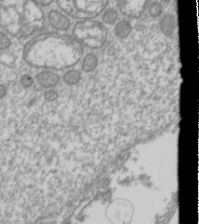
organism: Drosophila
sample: Cell division; meiosis; drosophila spermatocytes